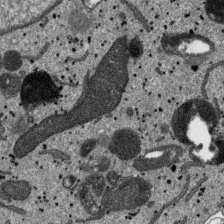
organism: Human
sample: Lung epithelial cells, uninfected (mock) control